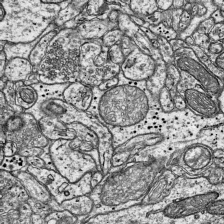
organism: Mouse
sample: Visual Cortex